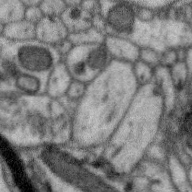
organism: Zebra finch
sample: Brain